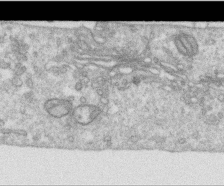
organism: Human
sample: Centriole in RPE cells